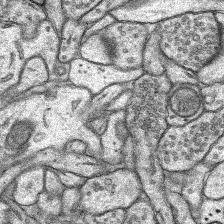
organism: Rat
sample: Hippocampus